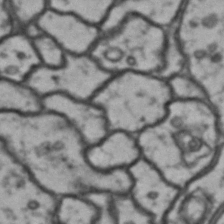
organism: Drosophila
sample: Brain